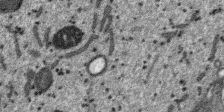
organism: Human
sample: Lung epithelial cells infected with SARS-CoV-2